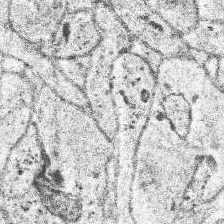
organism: Human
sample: Temporal Lobe